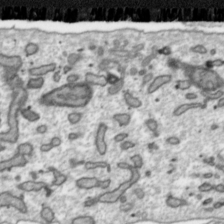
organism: Toxoplasma gondii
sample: Parasites in a vacuole inside a host cell